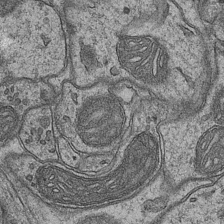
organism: Mouse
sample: CA1 Hippocampus